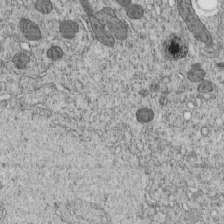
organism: C. elegans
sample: C. elegans embryo early stage